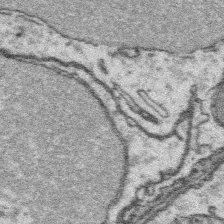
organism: Platynereis dumerilii